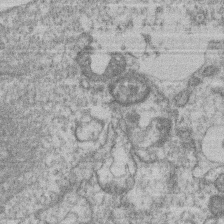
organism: Mouse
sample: T cell stromal cell synapse